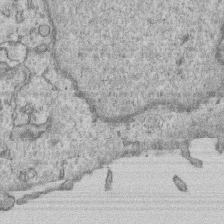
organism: Human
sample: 1205lu cells